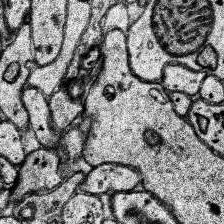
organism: Human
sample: Temporal Lobe